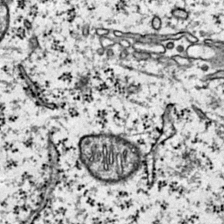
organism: Mouse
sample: Primary visual cortex